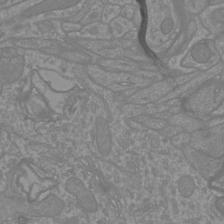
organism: Mouse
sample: Cortical neurons